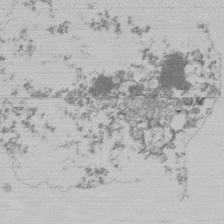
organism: Mouse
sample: Activated Pmel transgenic CD8+ T Cells